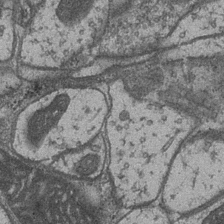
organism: Drosophila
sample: Optic medulla